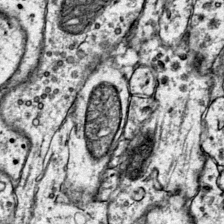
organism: Mouse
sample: Primary visual cortex